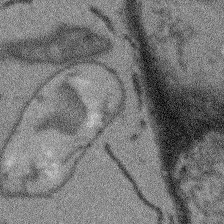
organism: Arabidopsis thaliana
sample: Root tip